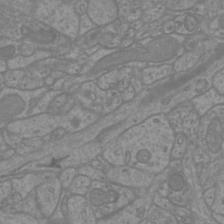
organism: Mouse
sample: Cortical neurons